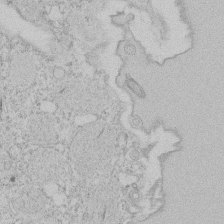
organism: Tetrahymena